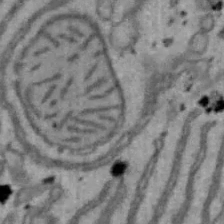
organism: Mouse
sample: Liver